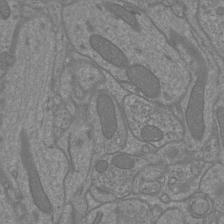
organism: Mouse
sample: Cortical neurons